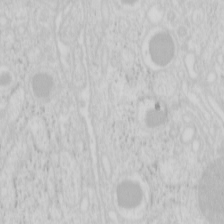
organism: Mouse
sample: Pancreas